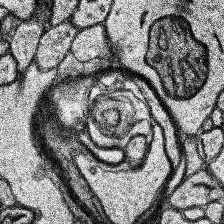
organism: Human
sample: Temporal Lobe